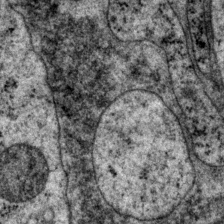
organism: P. pacificus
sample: Pharynx